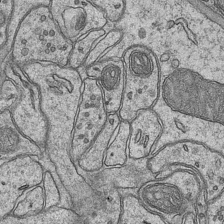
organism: Mouse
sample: CA1 Hippocampus